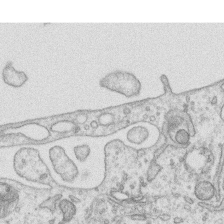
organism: Human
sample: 1205lu cells